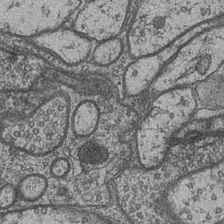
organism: Drosophila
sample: Optic medulla